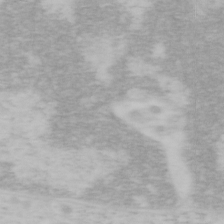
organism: Mouse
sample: OT-I killer T cells with ID8 ovarian cancer cells